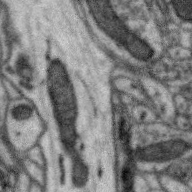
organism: Zebra finch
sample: Brain